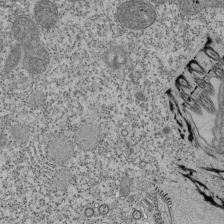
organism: Tetrahymena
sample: Cilia in tetrahymena